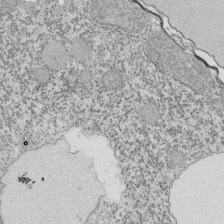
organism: Tetrahymena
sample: Cilia in tetrahymena